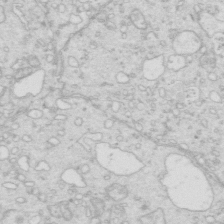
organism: Mouse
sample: Multiciliated cells